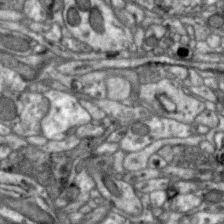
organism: Zebra finch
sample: Brain